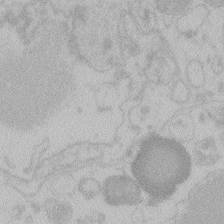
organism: Zebrafish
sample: Macrophage infected with Toxoplasma gondii